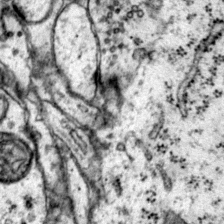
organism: Mouse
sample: Primary visual cortex